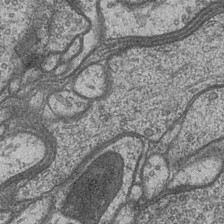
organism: Drosophila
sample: Optic medulla